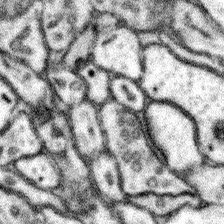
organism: Mouse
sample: Somatosensory cortex neuropil